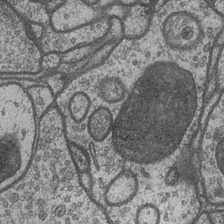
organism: Drosophila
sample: Optic medulla